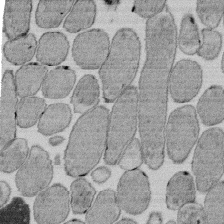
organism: E. coli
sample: Bacterial nucleoid